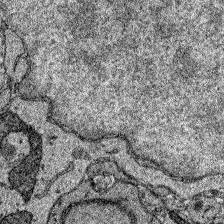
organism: Zebrafish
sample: Larval olfactory bulb